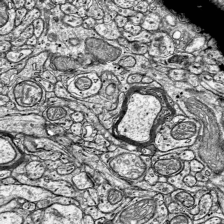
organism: Mouse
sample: Visual Cortex